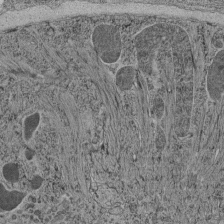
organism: C. elegans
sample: C. elegans pharynx